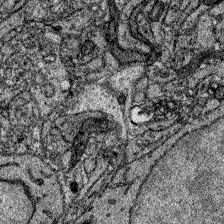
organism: Zebrafish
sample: Larval olfactory bulb